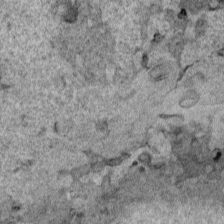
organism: Human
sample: Mitochondria in HCT116 cells